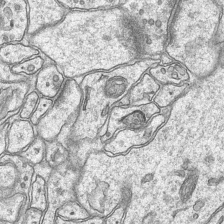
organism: Mouse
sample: CA1 Hippocampus